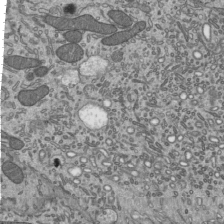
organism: Mouse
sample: Mouse epididymis efferent ductule cilia